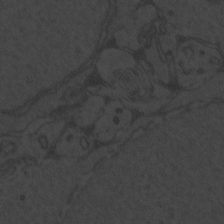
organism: Zebrafish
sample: Macrophage infected with Toxoplasma gondii